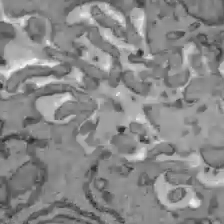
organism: C57BL Mouse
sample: Liver